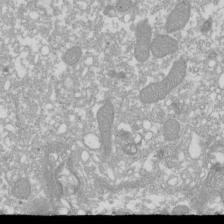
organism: Xenopus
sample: Cilia; centrioles in frog embryo cells